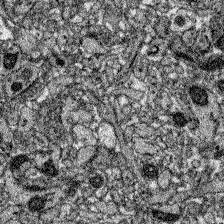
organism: Zebrafish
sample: Larval olfactory bulb